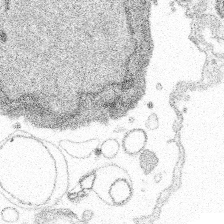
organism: Spongilla lacustris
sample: Multiple